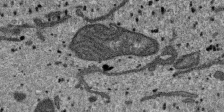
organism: Human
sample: Lung epithelial cells, uninfected (mock) control